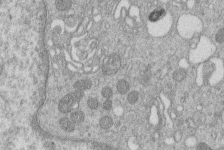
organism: Human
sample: Macrophage cells